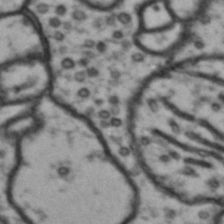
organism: Drosophila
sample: Brain